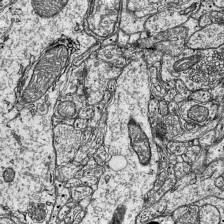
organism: Mouse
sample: Visual Cortex